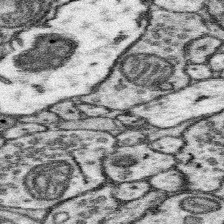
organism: Mouse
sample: Somatosensory cortex neuropil